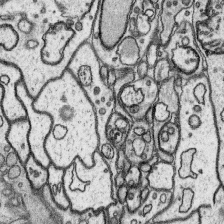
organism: Platynereis dumerilii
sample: Parapodia